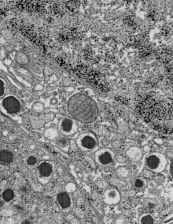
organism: C57BL Mouse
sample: Pancreatic islet